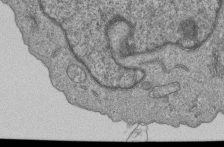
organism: Human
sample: MDA-MB-231 cells